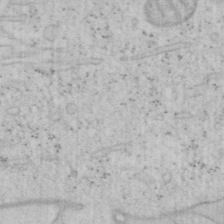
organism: Human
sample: HeLa cells